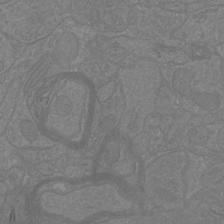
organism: Mouse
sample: Cortical neurons